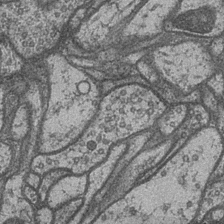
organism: Drosophila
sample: Optic medulla